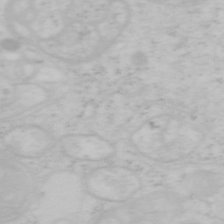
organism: Mouse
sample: OT-I killer T cells with ID8 ovarian cancer cells